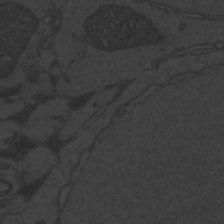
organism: Zebrafish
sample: Macrophage infected with Toxoplasma gondii